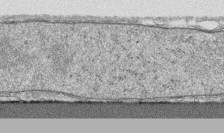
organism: Human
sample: CRL-1474